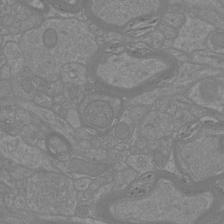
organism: Mouse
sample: Cortical neurons